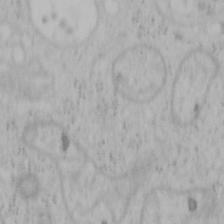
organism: Mouse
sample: OT-I killer T cells with ID8 ovarian cancer cells